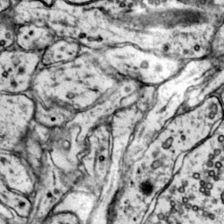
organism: Mouse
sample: Primary visual cortex